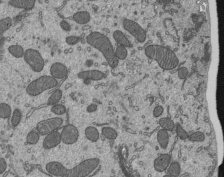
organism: Mouse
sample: Mouse epididymis efferent ductule cilia